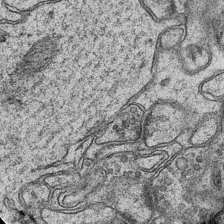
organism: Mouse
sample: CA1 Hippocampus